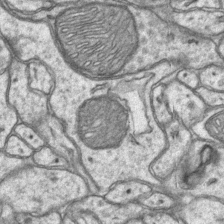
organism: Mouse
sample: CA1 Hippocampus